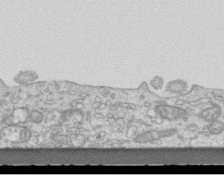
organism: Mouse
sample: Centriole in ependymal cells